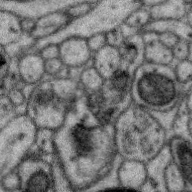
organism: Zebra finch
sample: Brain